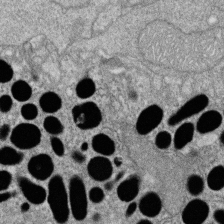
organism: Zebrafish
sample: Cilia; retinal pigment epithelium